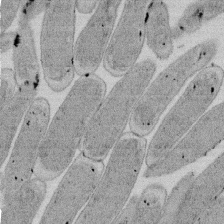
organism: E. coli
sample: Bacterial nucleoid